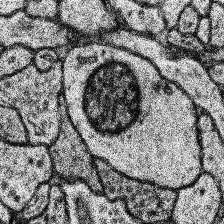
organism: Human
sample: Temporal Lobe